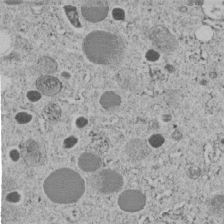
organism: C. elegans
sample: C. elegans embryo early stage